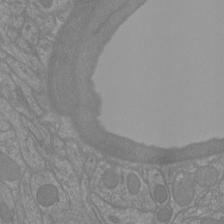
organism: Mouse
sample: Cortical neurons